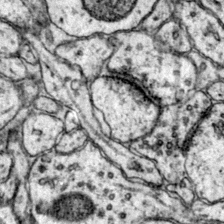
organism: Mouse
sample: Primary visual cortex